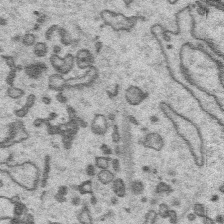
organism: Platynereis dumerilii